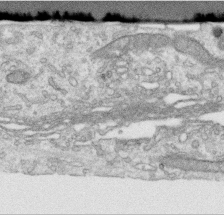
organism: Human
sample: Centriole in RPE cells